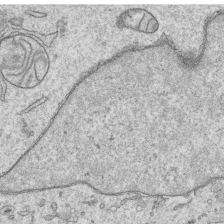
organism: Human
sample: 1205lu cells